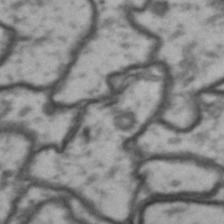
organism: Drosophila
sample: Brain